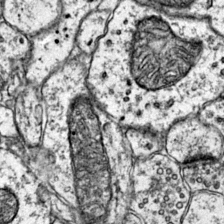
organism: Mouse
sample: Primary visual cortex